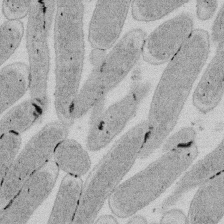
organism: E. coli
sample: Bacterial nucleoid